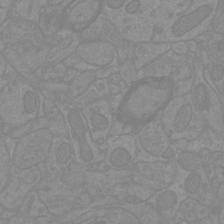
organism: Mouse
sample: Cortical neurons